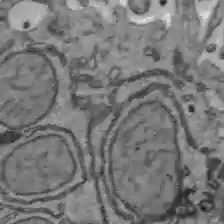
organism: C57BL Mouse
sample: Liver